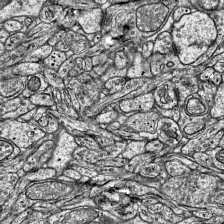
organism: Mouse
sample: Visual Cortex